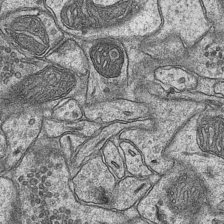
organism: Mouse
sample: CA1 Hippocampus